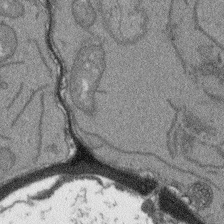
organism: Arabidopsis thaliana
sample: Root tip